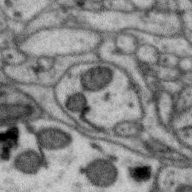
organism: Zebra finch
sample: Brain